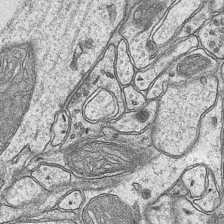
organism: Mouse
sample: CA1 Hippocampus